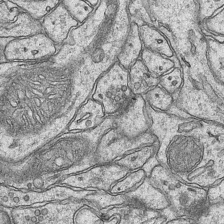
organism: Mouse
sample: CA1 Hippocampus